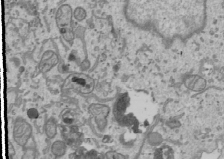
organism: Human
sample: Mitochondria in U2OS cells